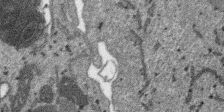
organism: Human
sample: Lung epithelial cells infected with SARS-CoV-2